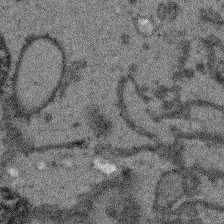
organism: Arabidopsis thaliana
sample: Root tip